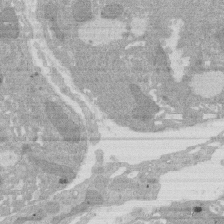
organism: Rat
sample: Salivary granule